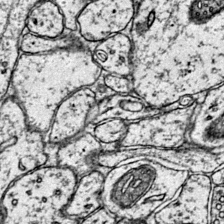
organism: Mouse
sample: Primary visual cortex